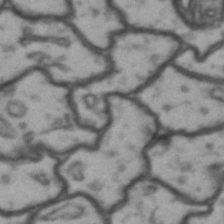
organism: Drosophila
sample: Brain